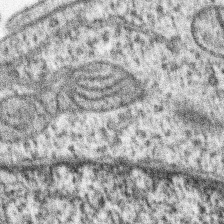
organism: Human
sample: HeLa cells